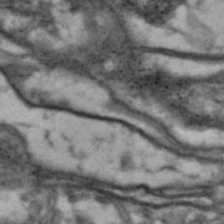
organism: Drosophila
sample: Brain